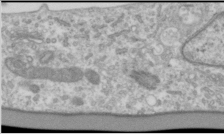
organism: Human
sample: Cilia; basal body in RPE cells